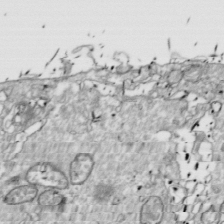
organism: Drosophila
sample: Cell division; meiosis; drosophila spermatocytes